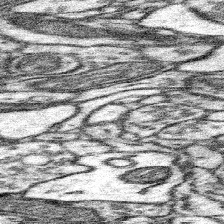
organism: Mouse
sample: Somatosensory cortex neuropil